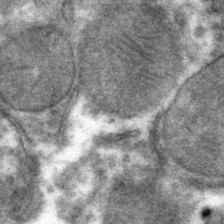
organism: Mouse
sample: Mouse hepatocytes